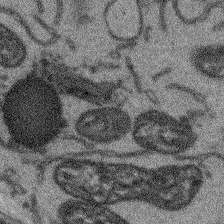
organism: Arabidopsis thaliana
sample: Root tip